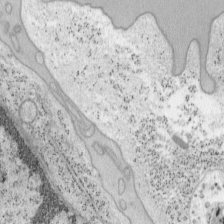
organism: Mouse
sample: OT-I killer T cells with ID8 ovarian cancer cells